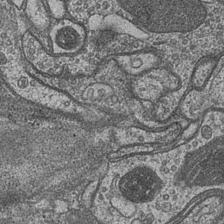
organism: Drosophila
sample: Optic medulla